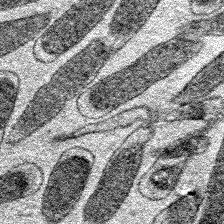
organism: E. coli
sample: E. Coli Bacteria